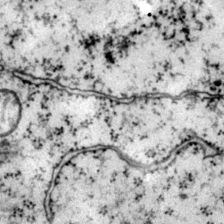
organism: Mouse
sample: Primary visual cortex